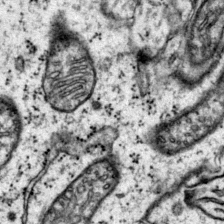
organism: Mouse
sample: Primary visual cortex